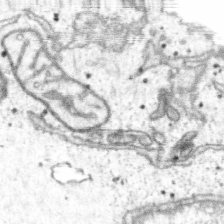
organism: Human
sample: HeLa cells